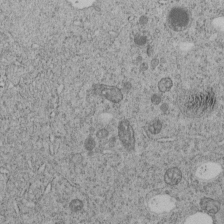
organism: C. elegans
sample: C. elegans embryo early stage